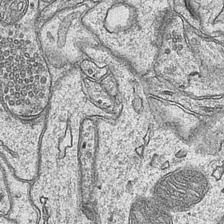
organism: Mouse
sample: CA1 Hippocampus